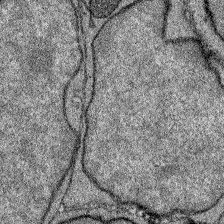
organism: Zebrafish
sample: Larval olfactory bulb